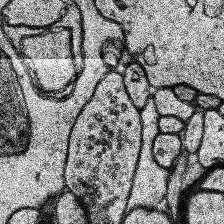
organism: Human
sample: Temporal Lobe